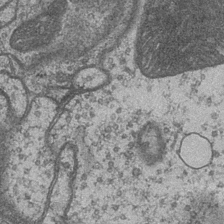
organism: Drosophila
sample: Optic medulla